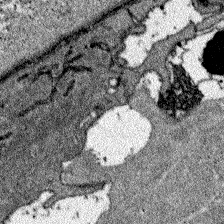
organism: Zebrafish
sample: Larval olfactory bulb